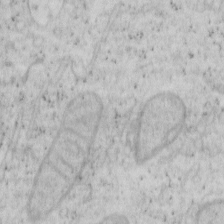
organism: Human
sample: HeLa cells